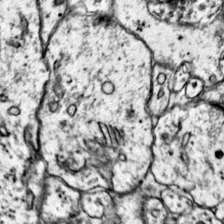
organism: Mouse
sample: Primary visual cortex